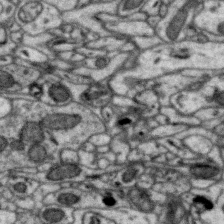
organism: Zebra finch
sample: Brain